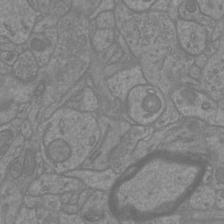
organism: Mouse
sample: Cortical neurons